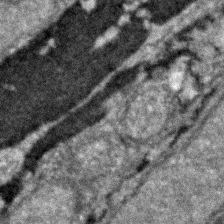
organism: Zebrafish